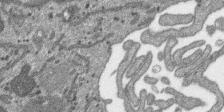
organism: Human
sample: Lung epithelial cells infected with SARS-CoV-2